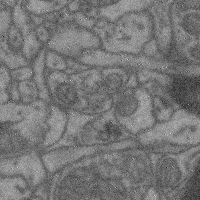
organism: Mouse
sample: Cerebral cortex